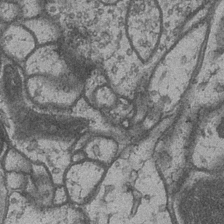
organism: Drosophila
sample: Optic medulla